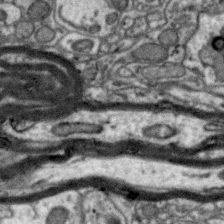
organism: Zebra finch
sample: Brain